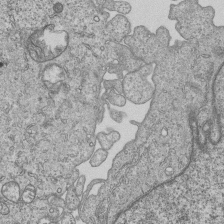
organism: Human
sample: MDA-MB-231 cells